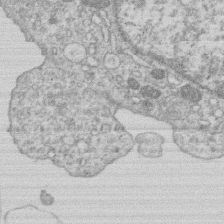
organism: Human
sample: Macrophage cells